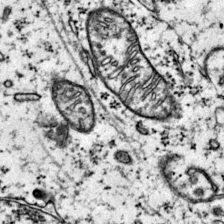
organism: Mouse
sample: Primary visual cortex